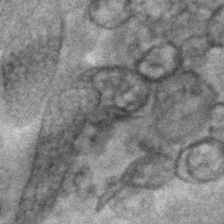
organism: C. elegans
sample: C. elegans embryo